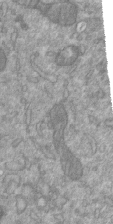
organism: Mouse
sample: ED-1 cell nuclei; centrioles